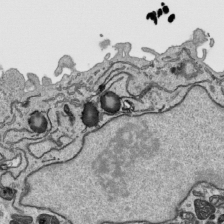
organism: Human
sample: Mitochondria in HCT116 cells